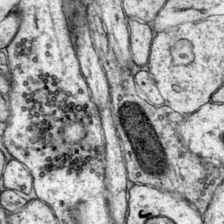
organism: Mouse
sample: Primary visual cortex